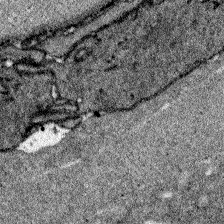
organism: Zebrafish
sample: Larval olfactory bulb